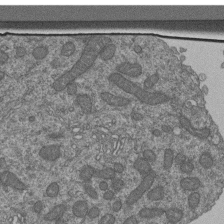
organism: Human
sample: Retinal organoid Rod and Cone cells